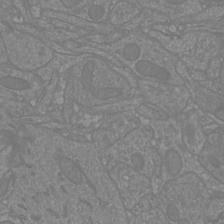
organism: Mouse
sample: Cortical neurons